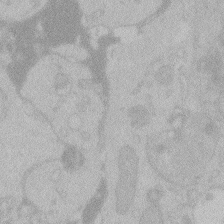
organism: Zebrafish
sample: Macrophage infected with Toxoplasma gondii